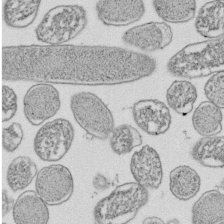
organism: E. coli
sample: Bacterial nucleoid